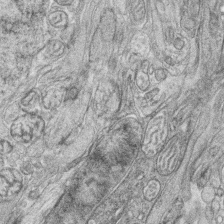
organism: Zebrafish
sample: synaptic ribbons in rod cells and cone cells